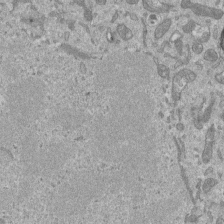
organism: Mouse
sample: ED-1 cell nuclei; centrioles